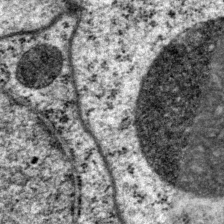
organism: P. pacificus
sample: Pharynx